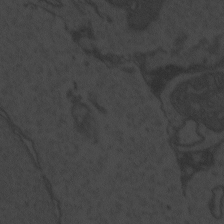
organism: Zebrafish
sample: Macrophage infected with Toxoplasma gondii